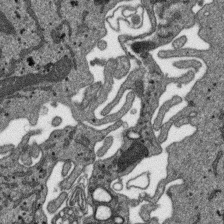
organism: Human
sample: Lung epithelial cells infected with SARS-CoV-2